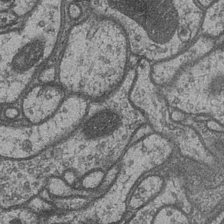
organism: Drosophila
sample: Optic medulla